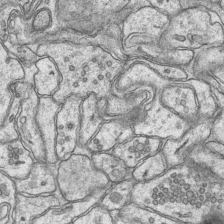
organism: Mouse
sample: CA1 Hippocampus